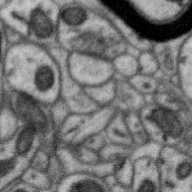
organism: Zebra finch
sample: Brain